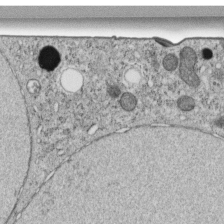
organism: C. elegans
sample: C. elegans embryo early stage